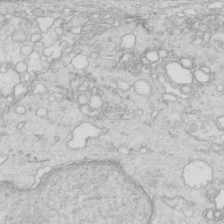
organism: Mouse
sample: Multiciliated cells